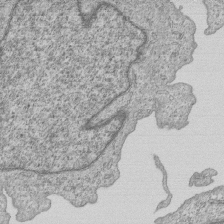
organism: Human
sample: MDA-MB-231 cells